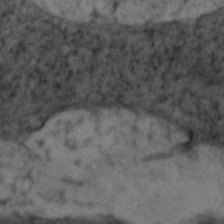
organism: Zebrafish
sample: Zebrafish embryo